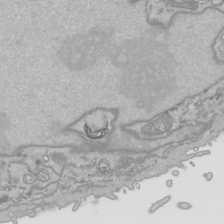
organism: Human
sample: Mitochondria in HCT116 cells